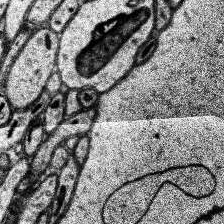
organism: Human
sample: Temporal Lobe